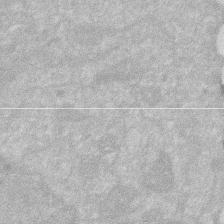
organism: Human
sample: HIV infected U937 cells